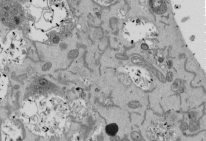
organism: Mouse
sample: ED-1 cell nuclei; centrioles